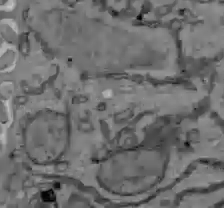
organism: C57BL Mouse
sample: Liver